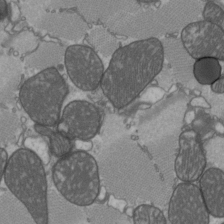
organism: C57BL Mouse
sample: Heart